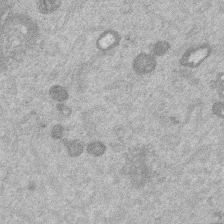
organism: Mouse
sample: Dividing mouse embryo 1 cell stage